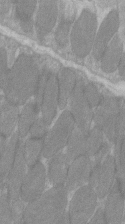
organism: C57BL Mouse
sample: Tibialis anterior muscle cell